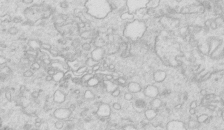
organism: Mouse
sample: Multiciliated cells